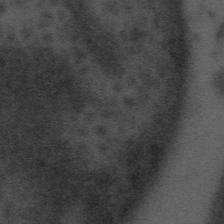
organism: Tuwongella immobilis